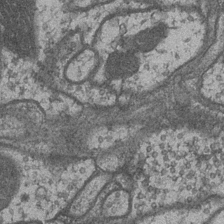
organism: Drosophila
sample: Optic medulla